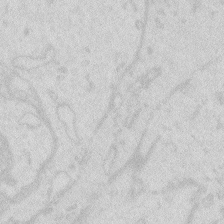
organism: Zebrafish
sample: Macrophage